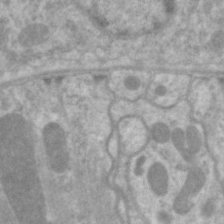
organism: C. elegans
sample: Pharynx